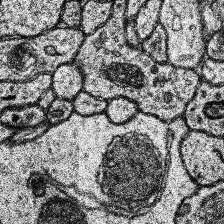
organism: Human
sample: Temporal Lobe